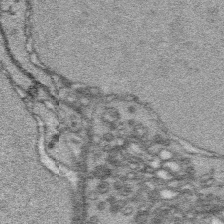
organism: Platynereis dumerilii